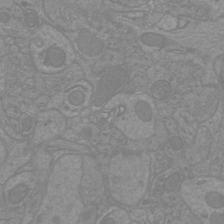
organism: Mouse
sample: Cortical neurons